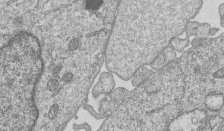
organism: Human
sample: MDA-MB-231 cells